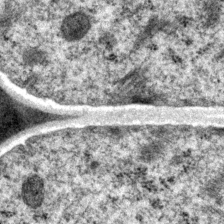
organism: P. pacificus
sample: Pharynx